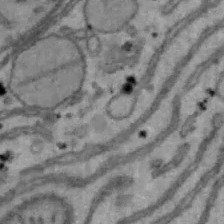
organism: Mouse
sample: Liver